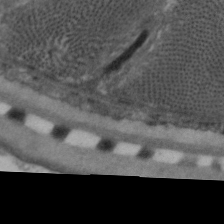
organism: C. elegans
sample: Pharynx